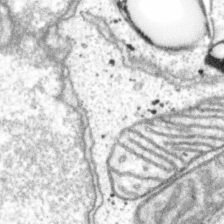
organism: Human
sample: HeLa cells